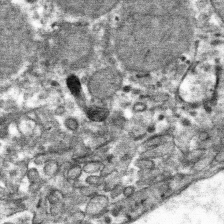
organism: Mouse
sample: Mouse hepatocytes